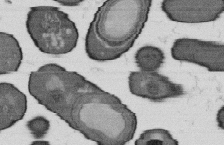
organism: B. subtilis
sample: Bacterial spore